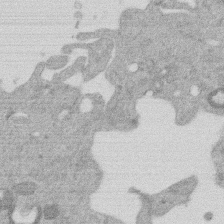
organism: Mouse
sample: Dividing mouse embryo 1 cell stage